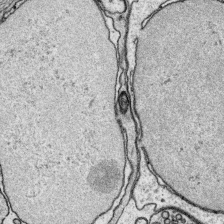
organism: Platynereis dumerilii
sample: Parapodia